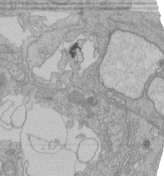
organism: Human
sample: Retinal organoid Rod and Cone cells